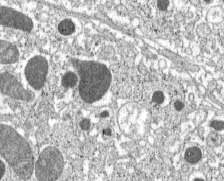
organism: C57BL Mouse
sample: Pancreatic islet